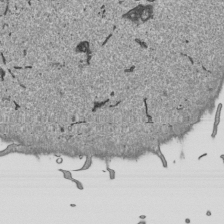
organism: Human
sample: Mitochondria in HCT116 cells